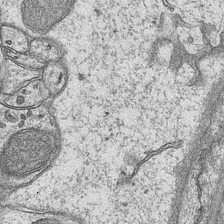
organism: Mouse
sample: CA1 Hippocampus